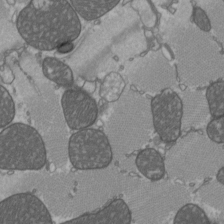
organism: C57BL Mouse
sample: Heart